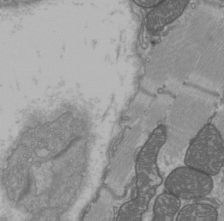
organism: C57BL Mouse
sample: Heart